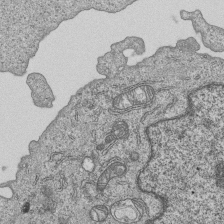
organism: Human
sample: MDA-MB-231 cells